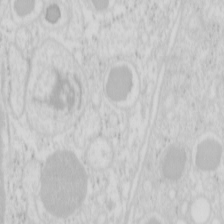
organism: Mouse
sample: Pancreas